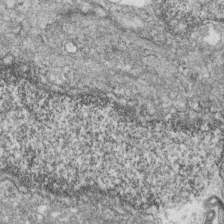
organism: Zebrafish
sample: Cilia; retinal pigment epithelium